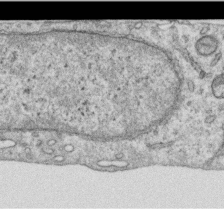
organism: Human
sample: Centriole in RPE cells